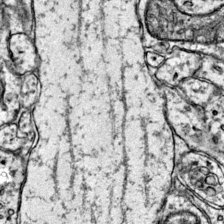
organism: Mouse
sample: Primary visual cortex